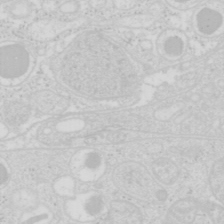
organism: Mouse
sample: Pancreas